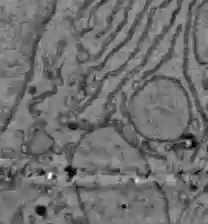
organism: C57BL Mouse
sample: Liver